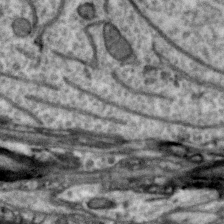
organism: Zebra finch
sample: Brain